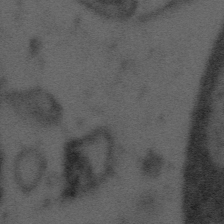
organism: Tuwongella immobilis